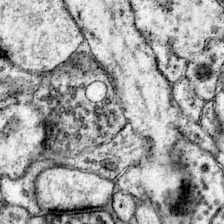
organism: Mouse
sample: Primary visual cortex